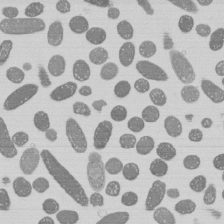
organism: E. coli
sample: Bacterial nucleoid